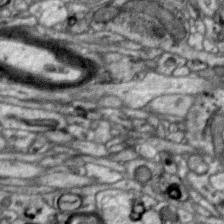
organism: Zebra finch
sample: Brain